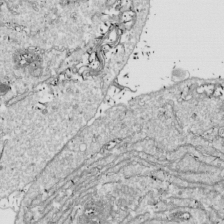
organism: Drosophila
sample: Cell division; meiosis; drosophila spermatocytes